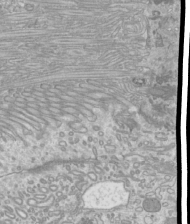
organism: Mouse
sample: Cilia; mouse epididymis